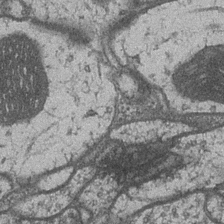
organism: Drosophila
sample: Optic medulla